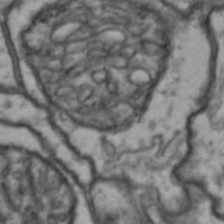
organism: Drosophila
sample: Brain